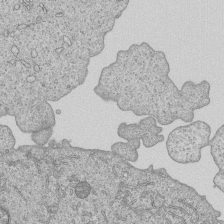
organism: Human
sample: MDA-MB-231 cells